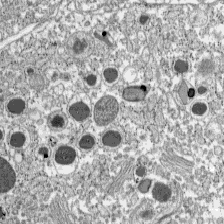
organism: C57BL Mouse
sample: Pancreatic islet